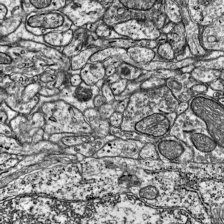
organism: Mouse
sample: Visual Cortex